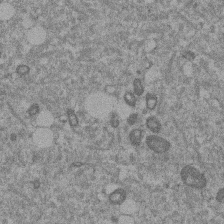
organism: Mouse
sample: Dividing mouse embryo 1 cell stage